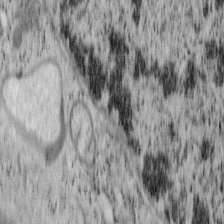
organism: Human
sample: HeLa cells